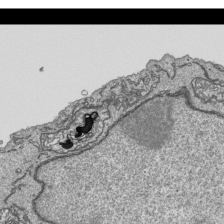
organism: Human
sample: Mitochondria in HCT116 cells